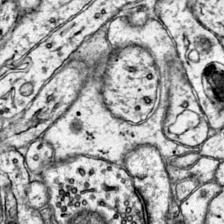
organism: Mouse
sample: Primary visual cortex